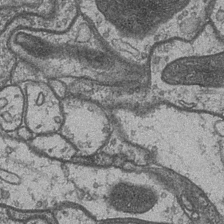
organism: Drosophila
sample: Optic medulla